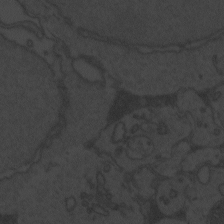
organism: Zebrafish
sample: Macrophage infected with Toxoplasma gondii